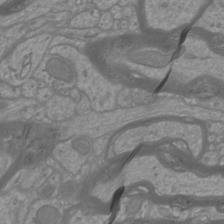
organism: Mouse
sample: Cortical neurons